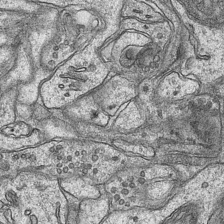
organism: Mouse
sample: CA1 Hippocampus